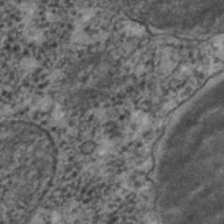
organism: C. elegans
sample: C. elegans embryo